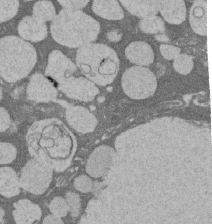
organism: Rat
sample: Salivary granule